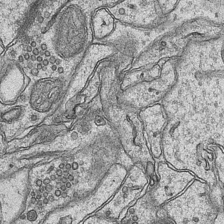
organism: Mouse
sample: CA1 Hippocampus